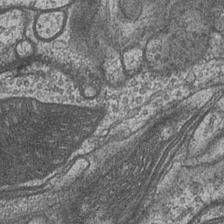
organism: Drosophila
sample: Optic medulla